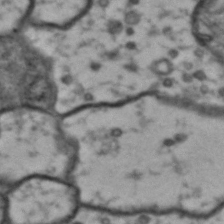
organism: Drosophila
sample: Brain